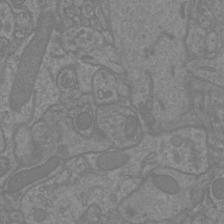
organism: Mouse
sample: Cortical neurons